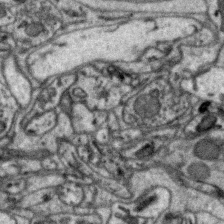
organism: Zebra finch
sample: Brain